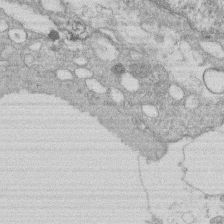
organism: Human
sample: Macrophage cells